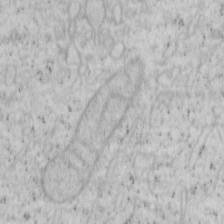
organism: Human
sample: HeLa cells